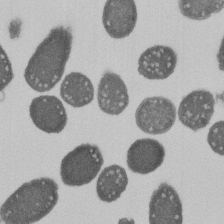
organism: E. coli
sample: Bacterial nucleoid